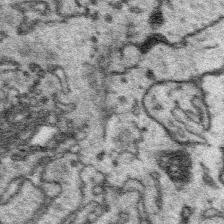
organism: Platynereis dumerilii